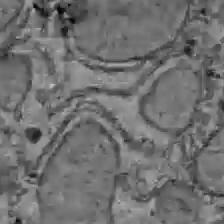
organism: C57BL Mouse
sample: Liver